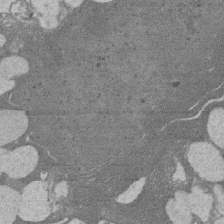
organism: Rat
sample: Salivary granule